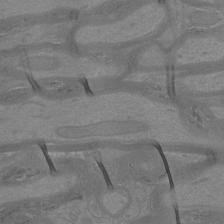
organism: Mouse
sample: Cortical neurons